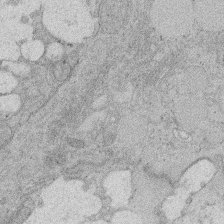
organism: Rat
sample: Salivary granule